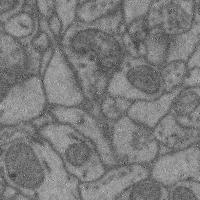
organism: Mouse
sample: Cerebral cortex